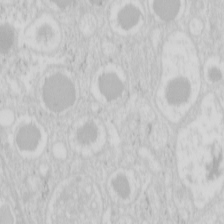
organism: Mouse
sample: Pancreas